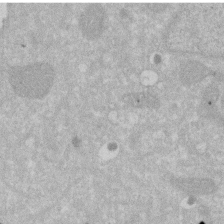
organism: Human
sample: HIV infected U937 cells